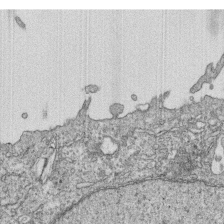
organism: Human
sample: HeLa cell HIV synapse